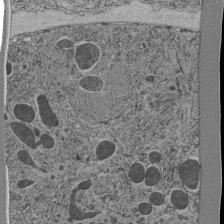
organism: C. elegans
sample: C. elegans pharynx